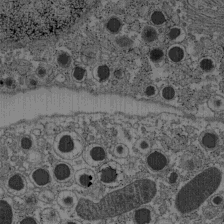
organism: C57BL Mouse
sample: Pancreatic islet